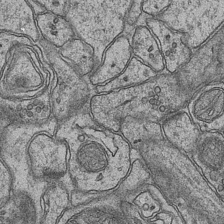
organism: Mouse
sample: CA1 Hippocampus